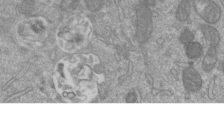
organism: Mouse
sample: ED-1 cell nuclei; centrioles